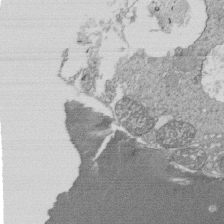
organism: Tetrahymena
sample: Cilia in tetrahymena